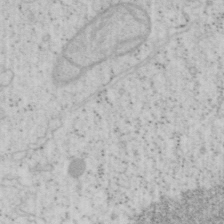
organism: Human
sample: HeLa cells